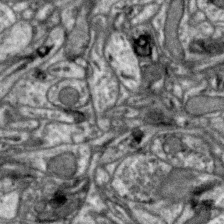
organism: Zebra finch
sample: Brain